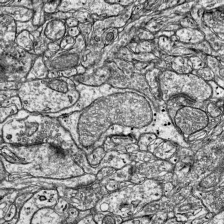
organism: Mouse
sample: Visual Cortex